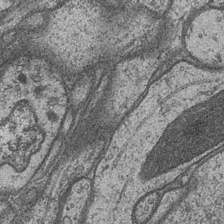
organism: Drosophila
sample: Optic medulla